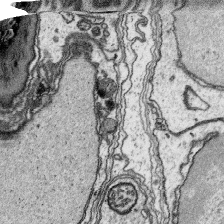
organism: Platynereis dumerilii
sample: Parapodia